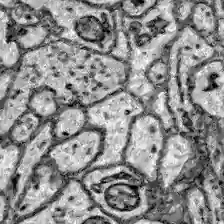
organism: Zebrafish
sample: Brain